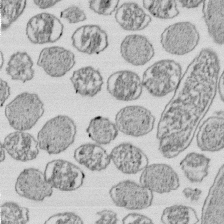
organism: E. coli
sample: Bacterial nucleoid